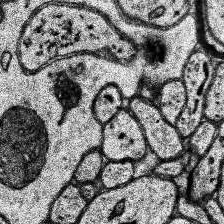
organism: Human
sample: Temporal Lobe